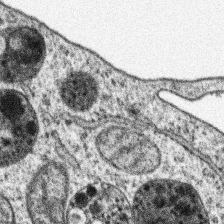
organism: Human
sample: HeLa cells